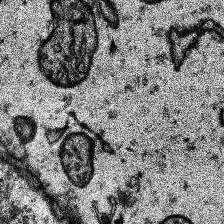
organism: Human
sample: Temporal Lobe